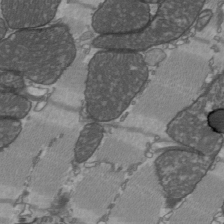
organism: C57BL Mouse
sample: Heart